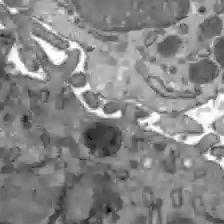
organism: C57BL Mouse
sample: Liver